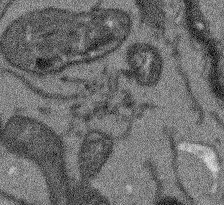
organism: Arabidopsis thaliana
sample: Root tip